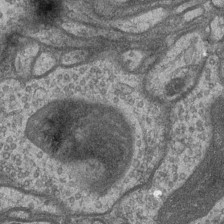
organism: Drosophila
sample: Optic medulla